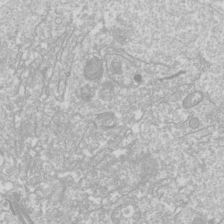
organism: Drosophila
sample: Cell division; meiosis; drosophila spermatocytes